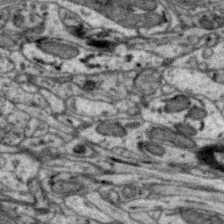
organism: Zebra finch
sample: Brain